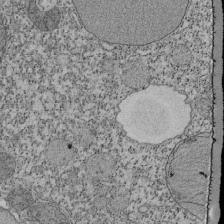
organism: Tetrahymena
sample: Cilia in tetrahymena